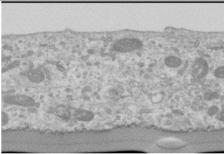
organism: Human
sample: Cilia; basal body in RPE cells